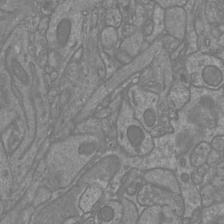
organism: Mouse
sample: Cortical neurons